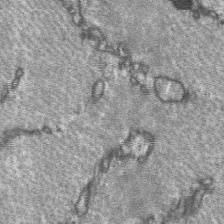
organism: C57BL Mouse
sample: Soleus